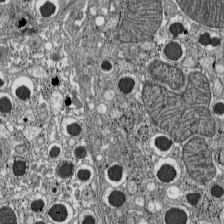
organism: C57BL Mouse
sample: Pancreatic islet